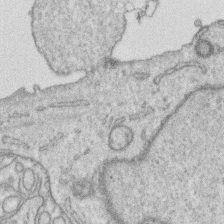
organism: Human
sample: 1205lu cells